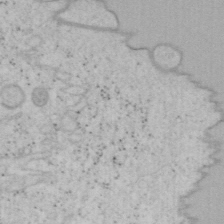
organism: Human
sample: HeLa cells